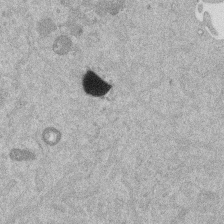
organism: Mouse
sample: Dividing mouse embryo 1 cell stage